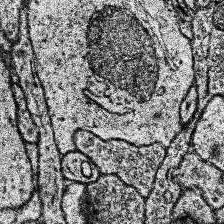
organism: Human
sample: Temporal Lobe